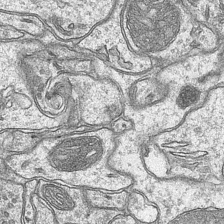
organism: Mouse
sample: CA1 Hippocampus